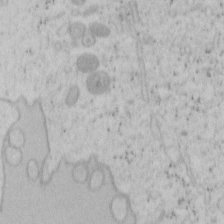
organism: Human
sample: HeLa cells